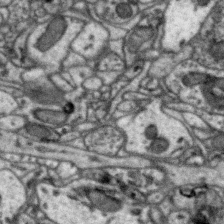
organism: Zebra finch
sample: Brain